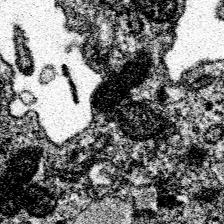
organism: Spongilla lacustris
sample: Neuroid cell